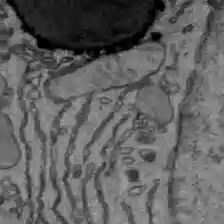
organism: C57BL Mouse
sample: Liver